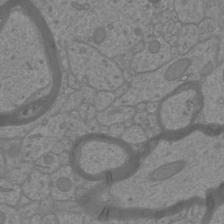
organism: Mouse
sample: Cortical neurons